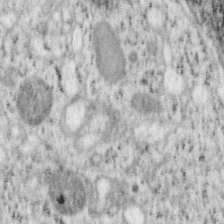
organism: Mouse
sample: OT-I killer T cells with ID8 ovarian cancer cells